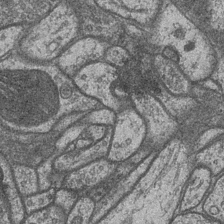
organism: Drosophila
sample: Optic medulla